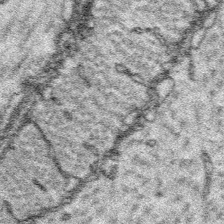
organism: Platynereis dumerilii